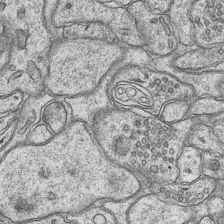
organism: Mouse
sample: CA1 Hippocampus